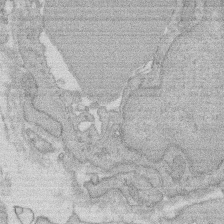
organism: Rat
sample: Salivary granule